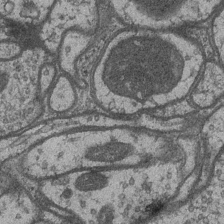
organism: Drosophila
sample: Optic medulla